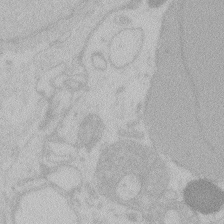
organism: Zebrafish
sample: Macrophage infected with Toxoplasma gondii